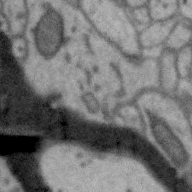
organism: Zebra finch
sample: Brain